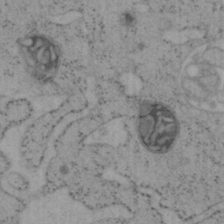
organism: Mouse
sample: OT-I killer T cells with ID8 ovarian cancer cells